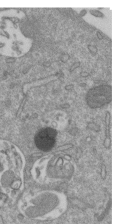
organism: Mouse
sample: ED-1 cell nuclei; centrioles